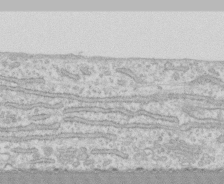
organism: Human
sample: CRL-1474